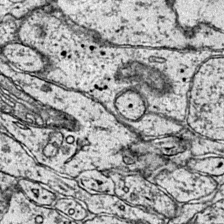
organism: Mouse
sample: Primary visual cortex